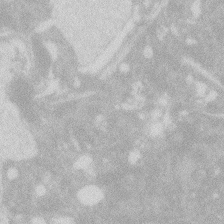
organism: Zebrafish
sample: Macrophage